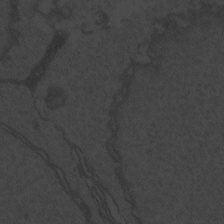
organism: Zebrafish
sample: Macrophage infected with Toxoplasma gondii